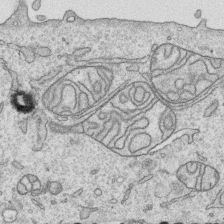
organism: Human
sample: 1205lu cells